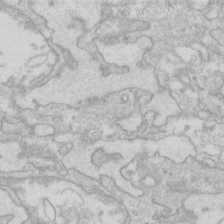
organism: Human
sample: Fibroblast cells